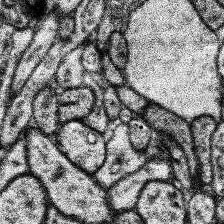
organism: Human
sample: Temporal Lobe